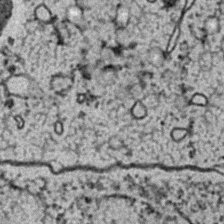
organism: C. elegans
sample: C. elegans embryo